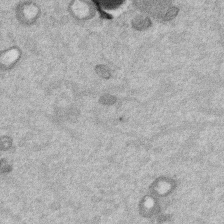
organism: Mouse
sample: Dividing mouse embryo 1 cell stage